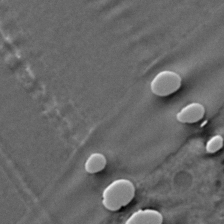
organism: C. elegans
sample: C. elegans embryo